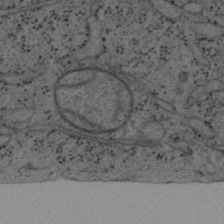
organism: Human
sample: HeLa cells